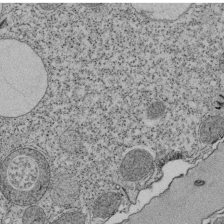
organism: Tetrahymena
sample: Cilia in tetrahymena